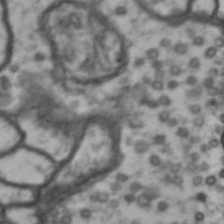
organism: Drosophila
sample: Brain